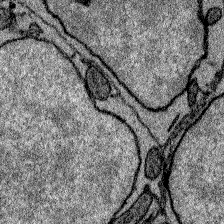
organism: Zebrafish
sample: Larval olfactory bulb